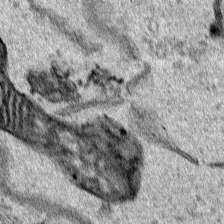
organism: Human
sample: Mitochondria in HCT116 cells